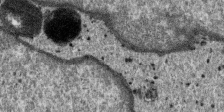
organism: Human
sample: Lung epithelial cells, uninfected (mock) control